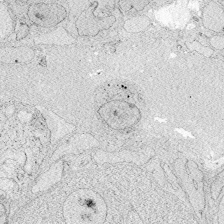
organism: Zebrafish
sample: Whole-Brain